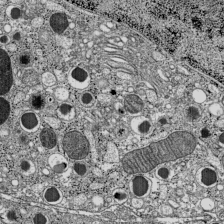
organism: C57BL Mouse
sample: Pancreatic islet